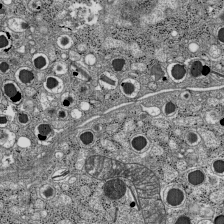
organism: C57BL Mouse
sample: Pancreatic islet